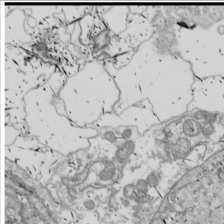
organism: Drosophila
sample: Cell division; meiosis; drosophila spermatocytes